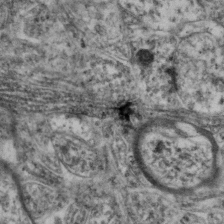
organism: Mouse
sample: Neocortex